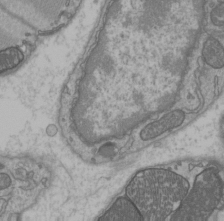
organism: C57BL Mouse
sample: Heart